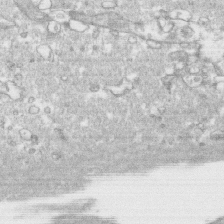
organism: Human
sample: CRL-1474